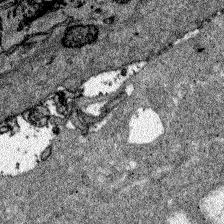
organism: Zebrafish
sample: Larval olfactory bulb